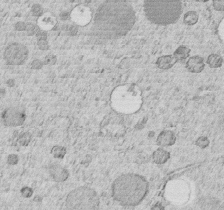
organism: C. elegans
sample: C. elegans embryo early stage